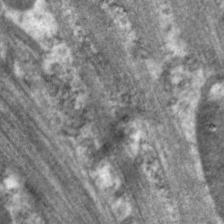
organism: C. elegans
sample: Pharynx